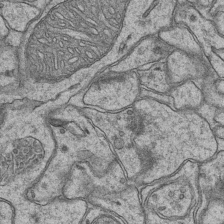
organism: Mouse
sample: CA1 Hippocampus